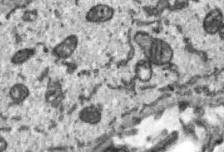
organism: Human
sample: HeLa cells